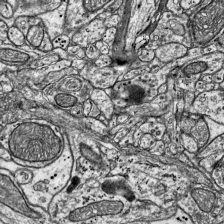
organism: Mouse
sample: Visual Cortex